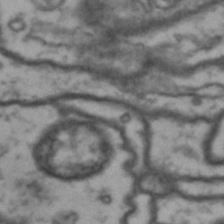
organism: Drosophila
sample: Brain